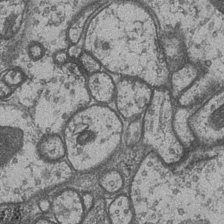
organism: Drosophila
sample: Optic medulla